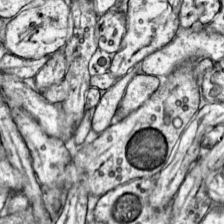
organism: Mouse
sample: Primary visual cortex